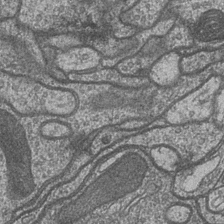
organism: Drosophila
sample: Optic medulla